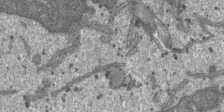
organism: Human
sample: Lung epithelial cells infected with SARS-CoV-2